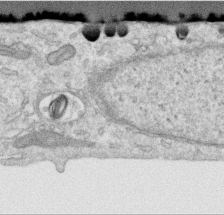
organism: Human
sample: Centriole in RPE cells